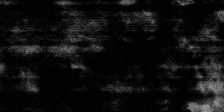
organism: Human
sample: Lung epithelial cells infected with SARS-CoV-2